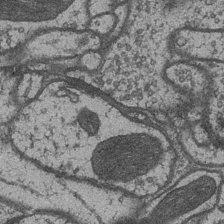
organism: Drosophila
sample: Optic medulla